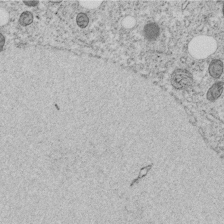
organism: C. elegans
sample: C. elegans embryo early stage